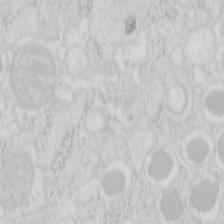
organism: Mouse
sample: Pancreas